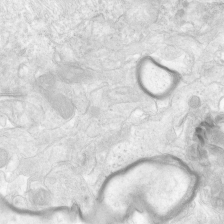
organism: Human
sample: Neocortex